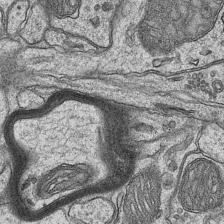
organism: Mouse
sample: CA1 Hippocampus